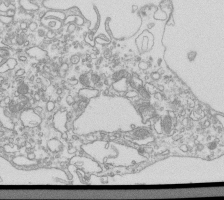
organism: Mouse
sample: Macrophages